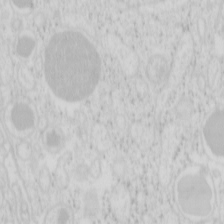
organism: Mouse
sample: Pancreas